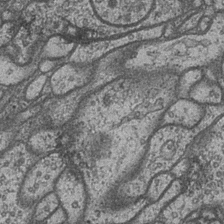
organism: Drosophila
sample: Optic medulla